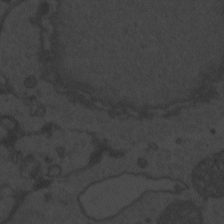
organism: Zebrafish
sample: Macrophage infected with Toxoplasma gondii